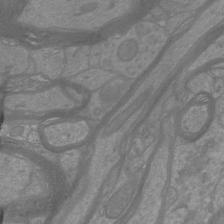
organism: Mouse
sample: Cortical neurons